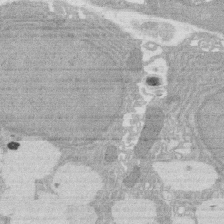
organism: Rat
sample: Salivary granule